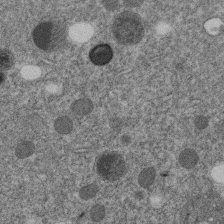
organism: C. elegans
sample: C. elegans embryo early stage